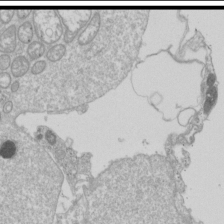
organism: Drosophila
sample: Cell division; meiosis; drosophila spermatocytes